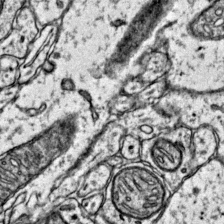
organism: Mouse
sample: Primary visual cortex